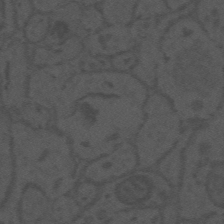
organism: Mouse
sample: Suprachiasmatic nucleus